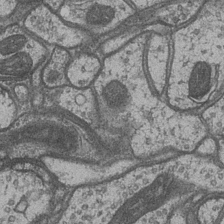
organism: Drosophila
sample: Optic medulla